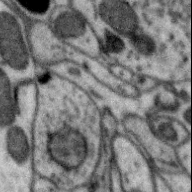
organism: Zebra finch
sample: Brain